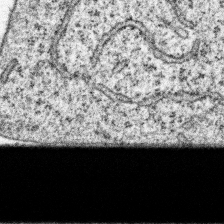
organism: Human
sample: HeLa cells